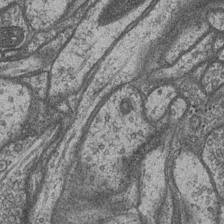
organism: Drosophila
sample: Optic medulla